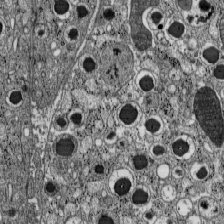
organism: C57BL Mouse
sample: Pancreatic islet